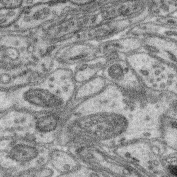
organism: Mouse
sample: Retina